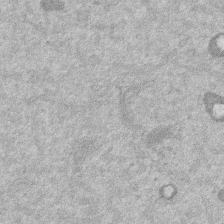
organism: Mouse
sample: Dividing mouse embryo 1 cell stage